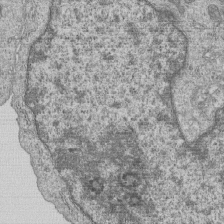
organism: Human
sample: MDA-MB-231 cells